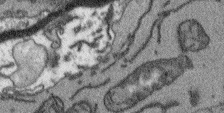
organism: Arabidopsis thaliana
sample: Root tip